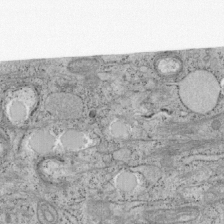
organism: Human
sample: HeLa cells